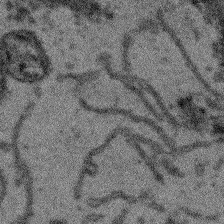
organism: Arabidopsis thaliana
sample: Root tip